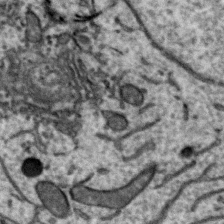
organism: Zebra finch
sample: Brain